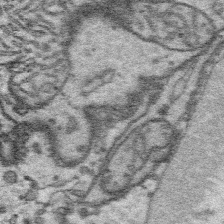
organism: Platynereis dumerilii